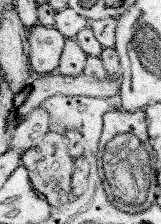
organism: Mouse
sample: Somatosensory cortex neuropil